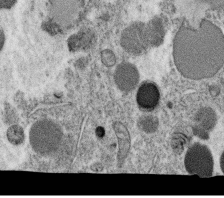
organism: C. elegans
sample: C. elegans oocyte; sperm cells